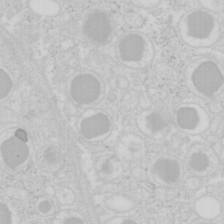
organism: Mouse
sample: Pancreas